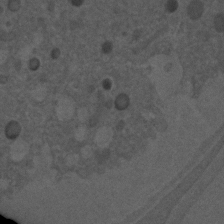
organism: C. elegans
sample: C. elegans embryo